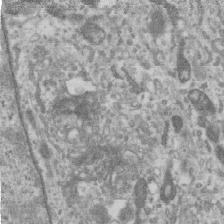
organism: Human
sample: Centriole in RPE cells